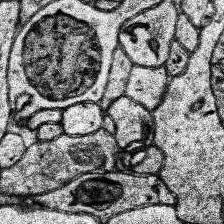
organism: Human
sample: Temporal Lobe